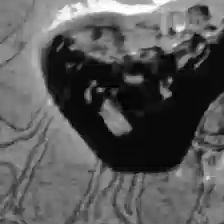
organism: C57BL Mouse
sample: Liver